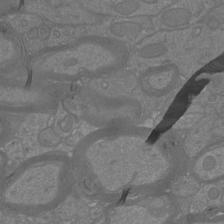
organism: Mouse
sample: Cortical neurons